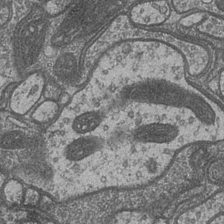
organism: Drosophila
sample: Optic medulla